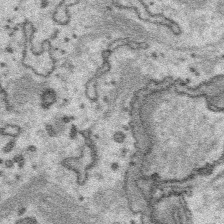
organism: Platynereis dumerilii